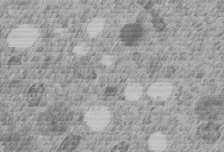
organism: C. elegans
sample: C. elegans embryo early stage